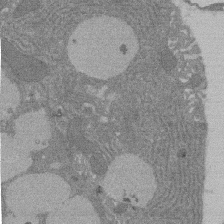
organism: Rat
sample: Salivary granule